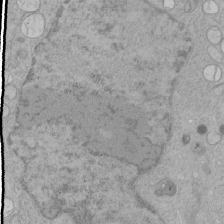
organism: Human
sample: Mitochondria in HCT116 cells